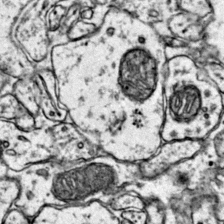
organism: Mouse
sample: Primary visual cortex